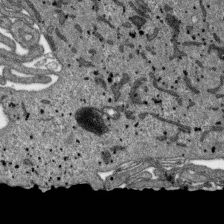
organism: Human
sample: Lung epithelial cells, uninfected (mock) control